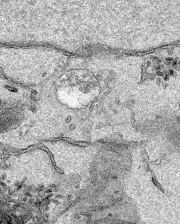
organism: Human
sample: Mitochondria in HCT116 cells